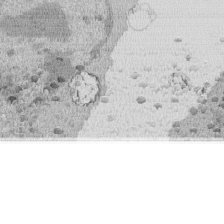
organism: Mouse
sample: Activated Pmel transgenic CD8+ T Cells